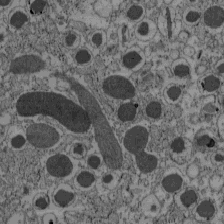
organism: C57BL Mouse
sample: Pancreatic islet